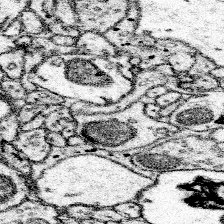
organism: Mouse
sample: Somatosensory cortex neuropil